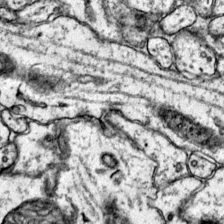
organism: Mouse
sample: Primary visual cortex